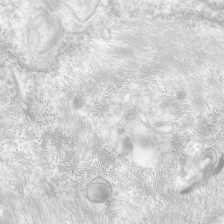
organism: Human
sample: Neocortex